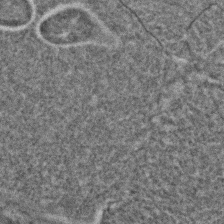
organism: C. elegans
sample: C. elegans embryo